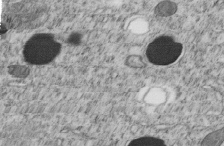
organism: C. elegans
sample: C. elegans embryo early stage